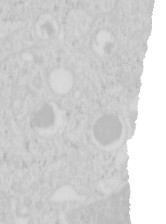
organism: Mouse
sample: Pancreas